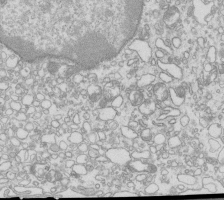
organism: Mouse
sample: Macrophages